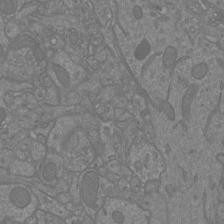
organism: Mouse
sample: Cortical neurons